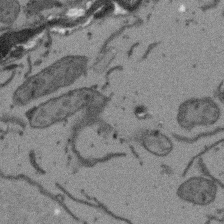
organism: Arabidopsis thaliana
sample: Root tip